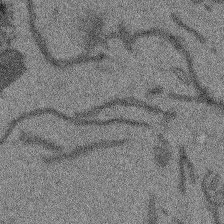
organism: Arabidopsis thaliana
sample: Root tip